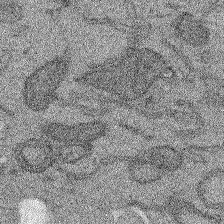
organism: Human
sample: HeLa cells